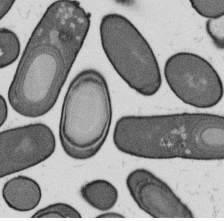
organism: B. subtilis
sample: Bacterial spore